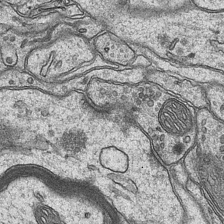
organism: Mouse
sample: CA1 Hippocampus